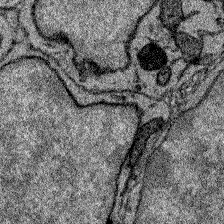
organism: Zebrafish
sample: Larval olfactory bulb